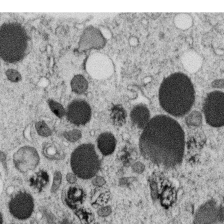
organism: C. elegans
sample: C. elegans oocyte; sperm cells